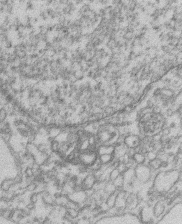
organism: Mouse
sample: T cell stromal cell synapse